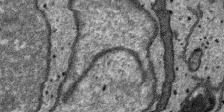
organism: Human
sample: Lung epithelial cells, uninfected (mock) control